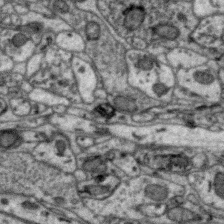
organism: Zebra finch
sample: Brain